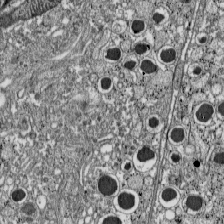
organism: C57BL Mouse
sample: Pancreatic islet